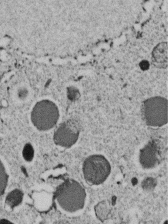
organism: C. elegans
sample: C. elegans embryo early stage